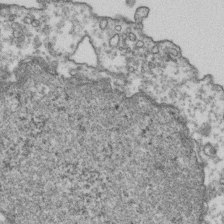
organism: Human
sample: Activated Jurkat CD4+ T cells